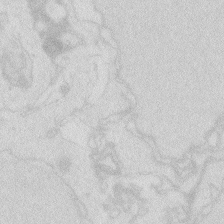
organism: Zebrafish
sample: Macrophage